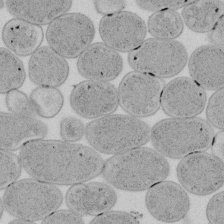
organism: E. coli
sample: Bacterial nucleoid